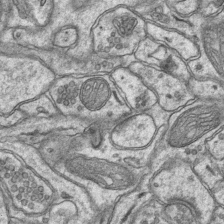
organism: Mouse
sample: CA1 Hippocampus